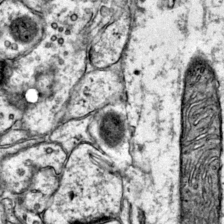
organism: Mouse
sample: Primary visual cortex